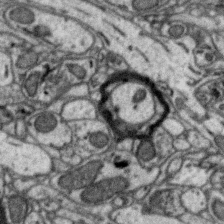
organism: Zebra finch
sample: Brain